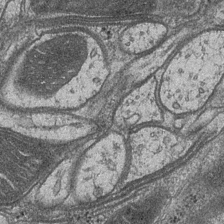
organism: Drosophila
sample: Optic medulla